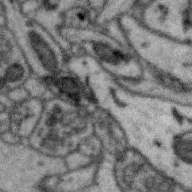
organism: Zebra finch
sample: Brain